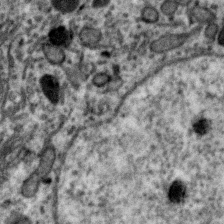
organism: Zebra finch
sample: Brain